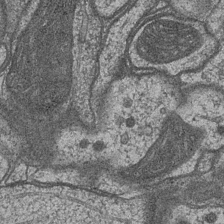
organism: Drosophila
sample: Optic medulla